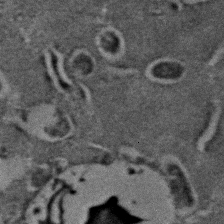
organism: C. elegans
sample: C. elegans embryo